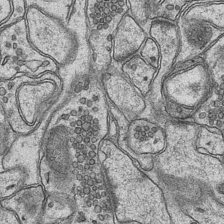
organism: Mouse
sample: CA1 Hippocampus